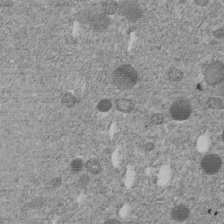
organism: C. elegans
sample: C. elegans embryo early stage